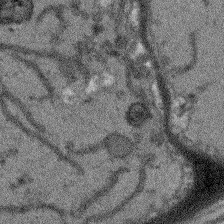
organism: Arabidopsis thaliana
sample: Root tip